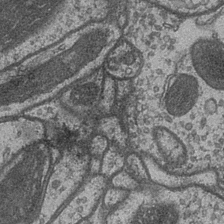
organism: Drosophila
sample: Optic medulla